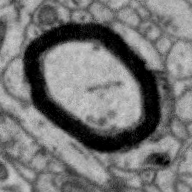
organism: Zebra finch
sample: Brain